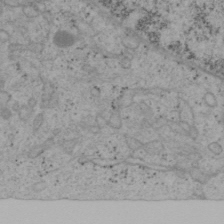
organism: Human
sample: HeLa cells